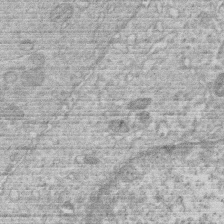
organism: Human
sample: Macrophage cells